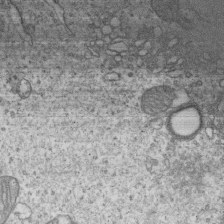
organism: Human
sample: MDA-MB-231 cells